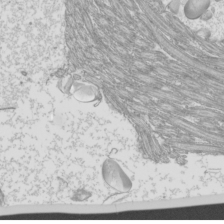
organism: Mouse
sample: Cilia; mouse epididymis